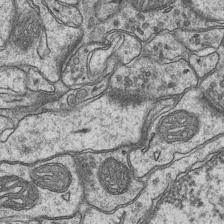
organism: Mouse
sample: CA1 Hippocampus